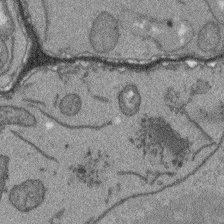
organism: Arabidopsis thaliana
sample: Root tip